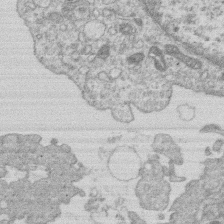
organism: Human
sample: Macrophage cells